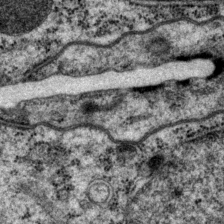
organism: P. pacificus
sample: Pharynx